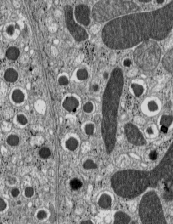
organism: C57BL Mouse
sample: Pancreatic islet